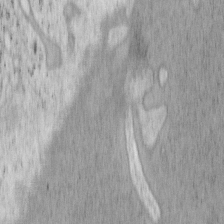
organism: Human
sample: HeLa cells